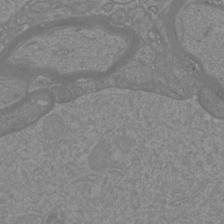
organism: Mouse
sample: Cortical neurons